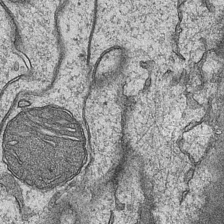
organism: Mouse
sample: CA1 Hippocampus